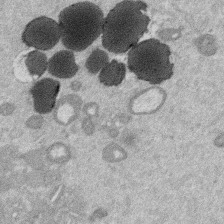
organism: Mouse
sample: Dividing mouse embryo 1 cell stage